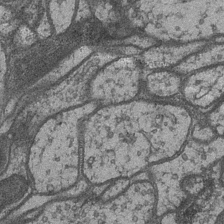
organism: Drosophila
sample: Optic medulla